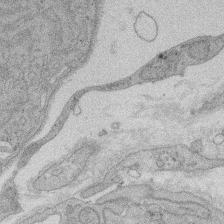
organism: Rat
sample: Salivary granule